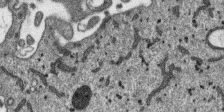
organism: Human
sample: Lung epithelial cells infected with SARS-CoV-2